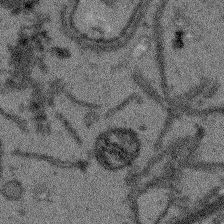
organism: Arabidopsis thaliana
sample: Root tip